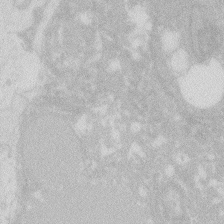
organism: Zebrafish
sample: Macrophage